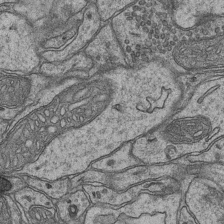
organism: Mouse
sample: CA1 Hippocampus